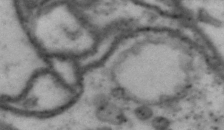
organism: Drosophila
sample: Brain